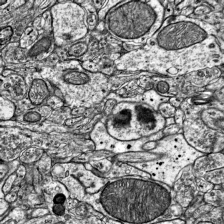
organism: Mouse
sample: Visual Cortex